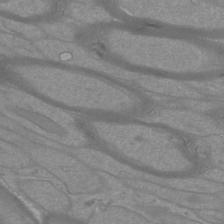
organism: Mouse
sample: Cortical neurons